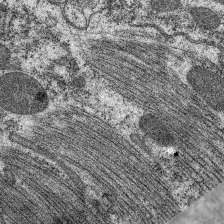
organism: C. elegans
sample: Pharynx